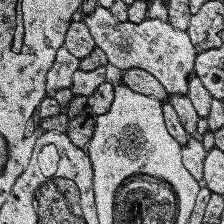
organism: Human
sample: Temporal Lobe